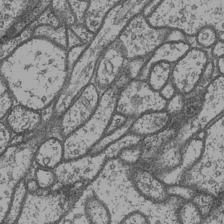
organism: Drosophila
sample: Optic medulla